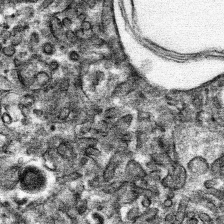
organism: Mouse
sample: Mouse hepatocytes